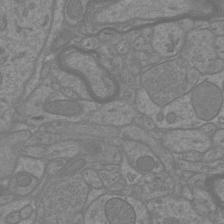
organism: Mouse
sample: Cortical neurons